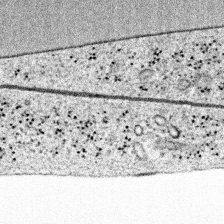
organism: Human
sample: HeLa cells